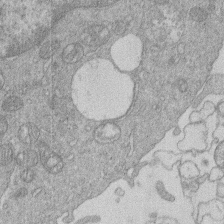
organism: Human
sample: Macrophage cells